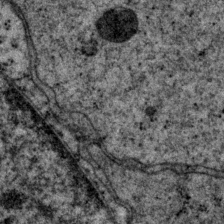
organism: P. pacificus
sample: Pharynx